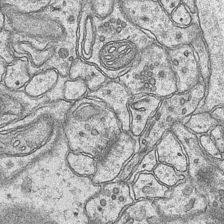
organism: Mouse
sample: CA1 Hippocampus